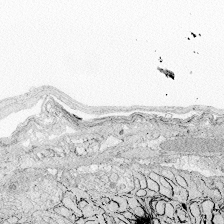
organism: Zebrafish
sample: Whole-Brain